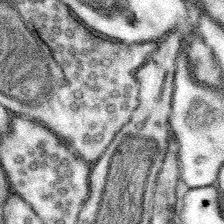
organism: Mouse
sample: Somatosensory cortex neuropil